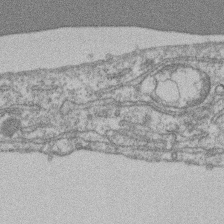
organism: Mouse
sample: T cell stromal cell synapse